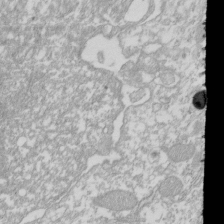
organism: Xenopus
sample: Cilia; centrioles in frog embryo cells